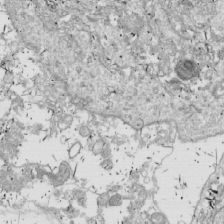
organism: Drosophila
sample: Cell division; meiosis; drosophila spermatocytes